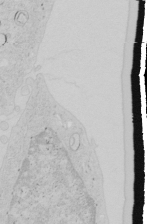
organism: Human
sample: Mitochondria in HCT116 cells